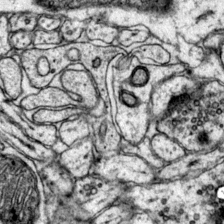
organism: Mouse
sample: Primary visual cortex